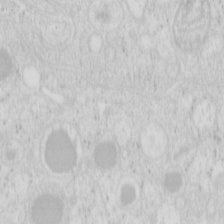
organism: Mouse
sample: Pancreas